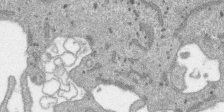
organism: Human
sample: Lung epithelial cells infected with SARS-CoV-2